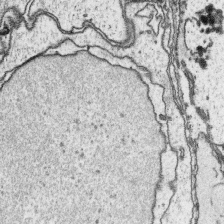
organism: Platynereis dumerilii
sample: Parapodia